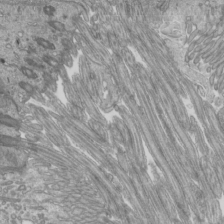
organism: Mouse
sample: Cilia; mouse epididymis